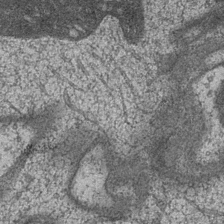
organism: Drosophila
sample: Optic medulla